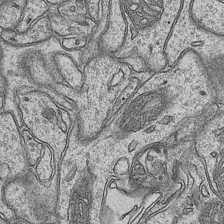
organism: Mouse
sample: CA1 Hippocampus